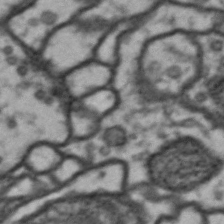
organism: Drosophila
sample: Brain